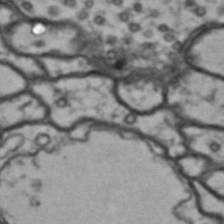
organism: Drosophila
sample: Brain